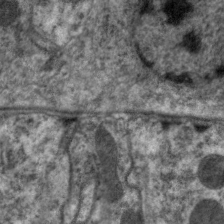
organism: C. elegans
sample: Pharynx